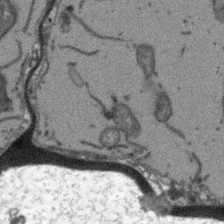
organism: Arabidopsis thaliana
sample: Root tip